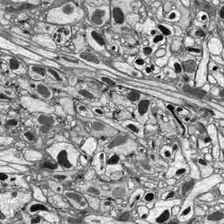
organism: Drosophila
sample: Optic lobe